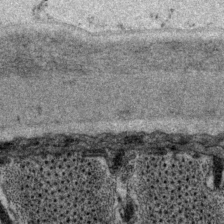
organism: P. pacificus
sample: Pharynx